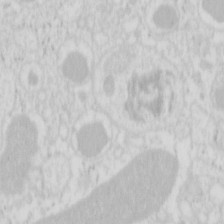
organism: Mouse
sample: Pancreas